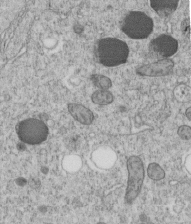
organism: C. elegans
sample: C. elegans embryo early stage